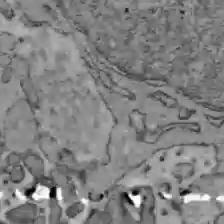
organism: C57BL Mouse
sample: Liver